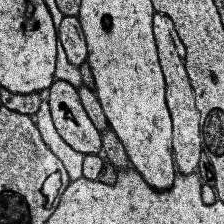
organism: Human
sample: Temporal Lobe